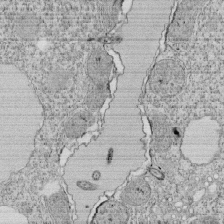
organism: Tetrahymena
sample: Cilia in tetrahymena